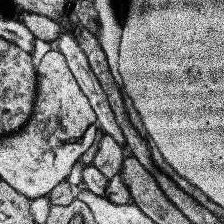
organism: Human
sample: Temporal Lobe